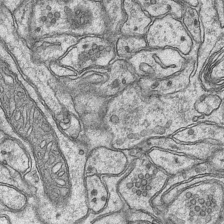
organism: Mouse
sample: CA1 Hippocampus